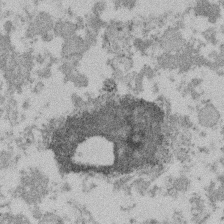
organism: Mouse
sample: Dividing mouse embryo 1 cell stage